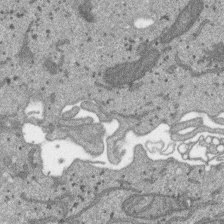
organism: Human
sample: Lung epithelial cells infected with SARS-CoV-2